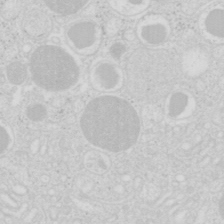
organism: Mouse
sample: Pancreas